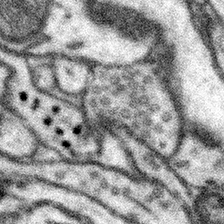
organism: Mouse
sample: Somatosensory cortex neuropil